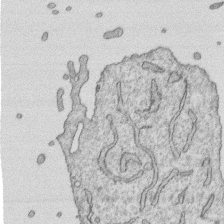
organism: Human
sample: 1205lu cells